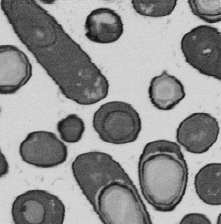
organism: B. subtilis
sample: Bacterial spore